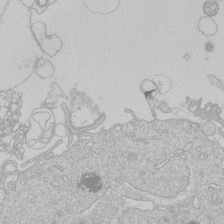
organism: Human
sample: Macrophage cells